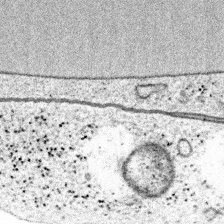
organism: Human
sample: HeLa cells